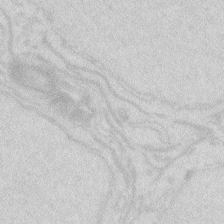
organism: Zebrafish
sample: Macrophage